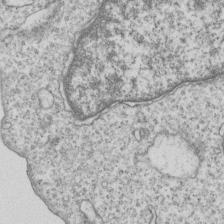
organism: Human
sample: MDA-MB-231 cells